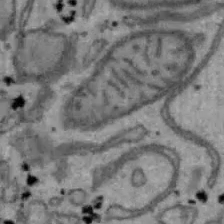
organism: Mouse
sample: Liver